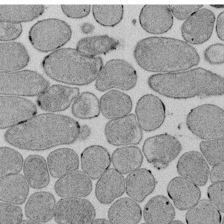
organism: E. coli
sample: Bacterial nucleoid